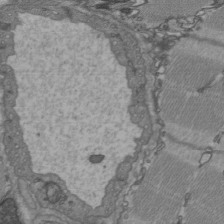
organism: C57BL Mouse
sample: Heart